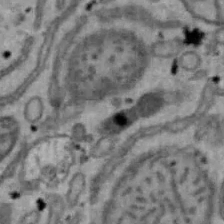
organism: Mouse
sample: Liver